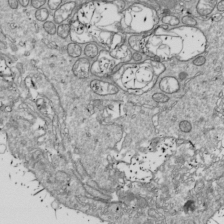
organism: Drosophila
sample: Cell division; meiosis; drosophila spermatocytes